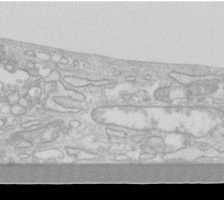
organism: Human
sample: Fibroblast cells